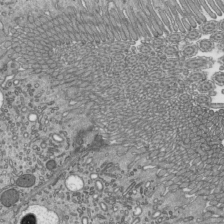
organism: Mouse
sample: Mouse epididymis efferent ductule cilia